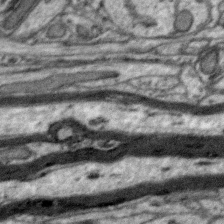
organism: Zebra finch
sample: Brain